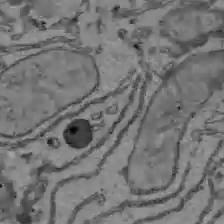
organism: C57BL Mouse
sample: Liver